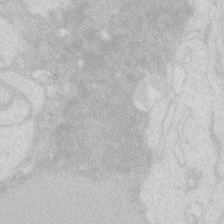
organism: Zebrafish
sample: Macrophage